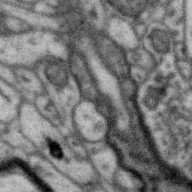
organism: Zebra finch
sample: Brain